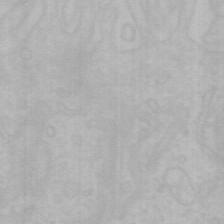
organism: Mouse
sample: Choroid plexus